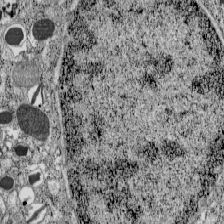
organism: C57BL Mouse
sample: Pancreatic islet